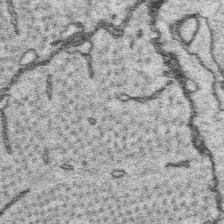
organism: Platynereis dumerilii